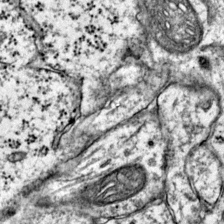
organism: Mouse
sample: Primary visual cortex